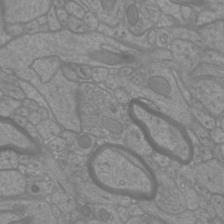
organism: Mouse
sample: Cortical neurons